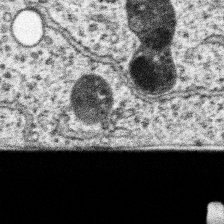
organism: Human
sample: HeLa cells